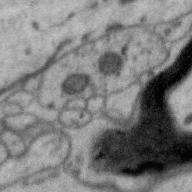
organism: Zebra finch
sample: Brain